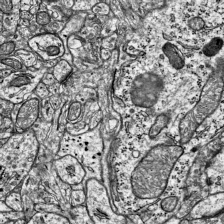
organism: Mouse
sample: Visual Cortex